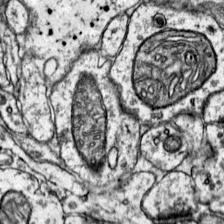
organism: Mouse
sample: Primary visual cortex